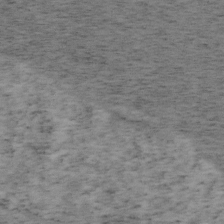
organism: Mouse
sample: OT-I killer T cells with ID8 ovarian cancer cells